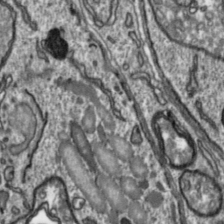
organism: Toxoplasma gondii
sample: Parasites in a vacuole inside a host cell